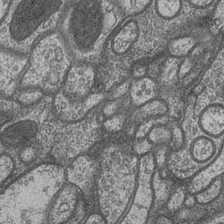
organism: Drosophila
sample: Optic medulla